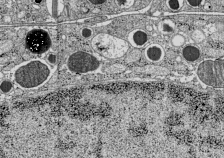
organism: C57BL Mouse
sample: Pancreatic islet